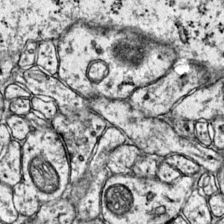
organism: Mouse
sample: Primary visual cortex